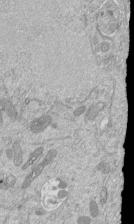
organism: Mouse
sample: ED-1 cell nuclei; centrioles